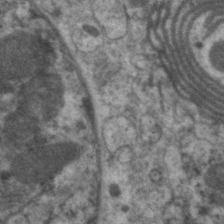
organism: C. elegans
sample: Pharynx